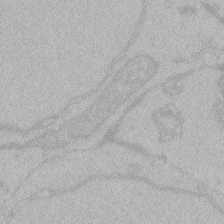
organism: Zebrafish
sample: Macrophage infected with Toxoplasma gondii